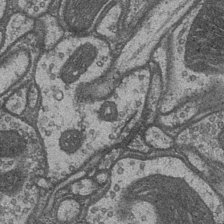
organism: Drosophila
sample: Optic medulla